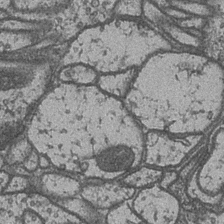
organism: Drosophila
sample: Optic medulla